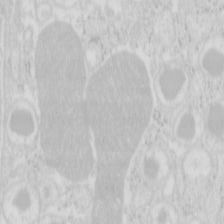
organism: Mouse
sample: Pancreas